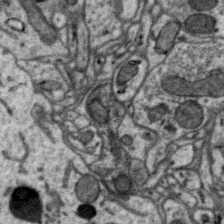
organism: Zebra finch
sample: Brain